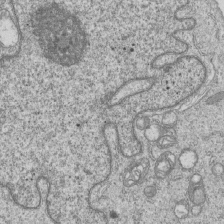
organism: Human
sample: MDA-MB-231 cells